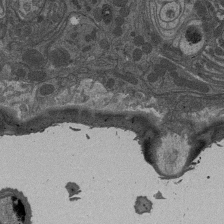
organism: Drosophila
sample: Antenna